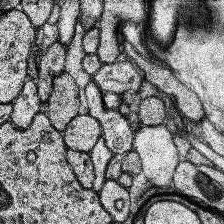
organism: Human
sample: Temporal Lobe